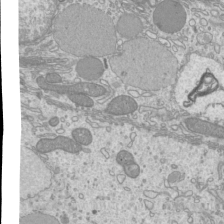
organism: Mouse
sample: Cilia; mouse epididymis